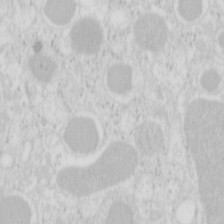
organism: Mouse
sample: Pancreas